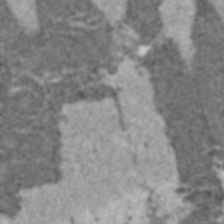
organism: C57BL Mouse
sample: Heart